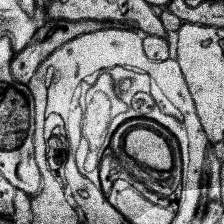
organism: Human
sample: Temporal Lobe